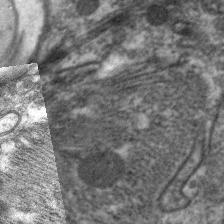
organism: C. elegans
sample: Pharynx